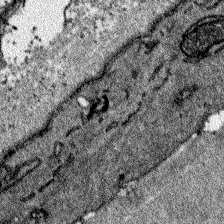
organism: Zebrafish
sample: Larval olfactory bulb